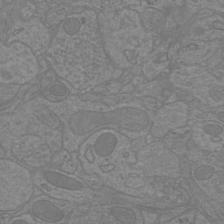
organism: Mouse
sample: Cortical neurons